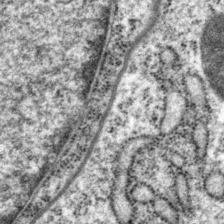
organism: P. pacificus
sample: Pharynx